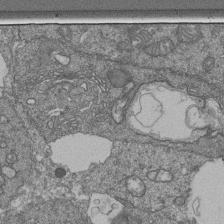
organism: Human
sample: Retinal organoid Rod and Cone cells